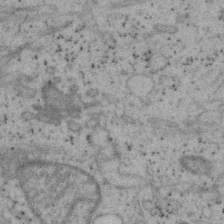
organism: Human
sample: HeLa cells